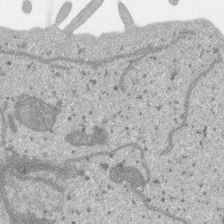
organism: Human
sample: Lung epithelial cells infected with SARS-CoV-2